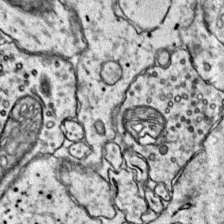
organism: Mouse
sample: Primary visual cortex